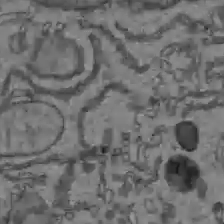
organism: C57BL Mouse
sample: Liver